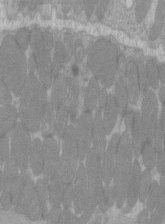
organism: C57BL Mouse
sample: Tibialis anterior muscle cell